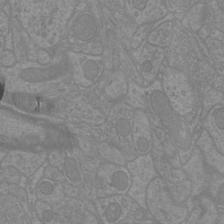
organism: Mouse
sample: Cortical neurons